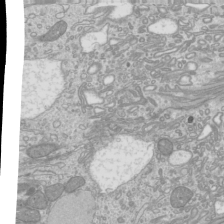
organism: Mouse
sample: Cilia; mouse epididymis